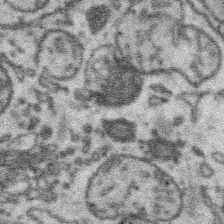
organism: Platynereis dumerilii